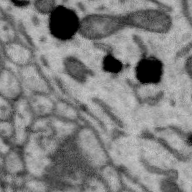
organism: Zebra finch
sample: Brain